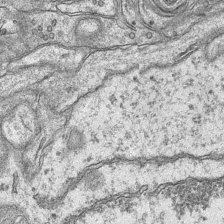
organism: Mouse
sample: CA1 Hippocampus